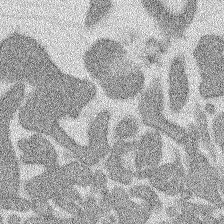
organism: Human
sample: HeLa cells